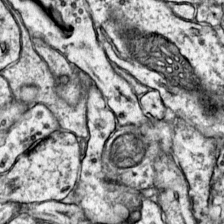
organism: Mouse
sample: Primary visual cortex